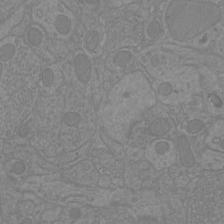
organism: Mouse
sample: Cortical neurons